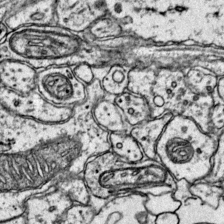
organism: Mouse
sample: Primary visual cortex